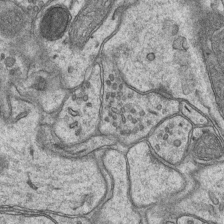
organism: Mouse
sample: CA1 Hippocampus